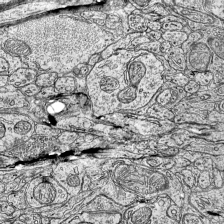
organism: Mouse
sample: Visual Cortex